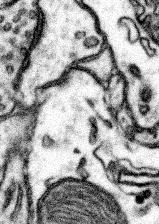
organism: Mouse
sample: Somatosensory cortex neuropil